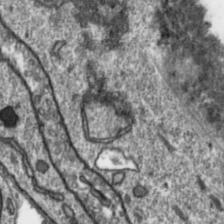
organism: Toxoplasma gondii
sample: Parasites in a vacuole inside a host cell